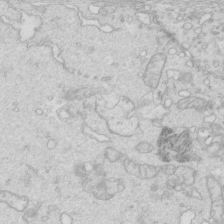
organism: Mouse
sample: Multiciliated cells